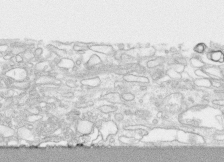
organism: Human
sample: CRL-1474